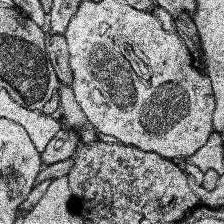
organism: Human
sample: Temporal Lobe